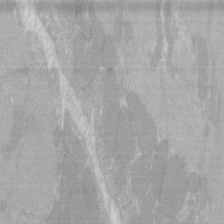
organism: C57BL Mouse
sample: Tibialis anterior muscle cell